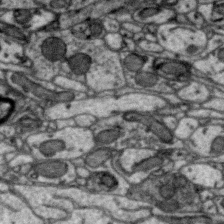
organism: Zebra finch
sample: Brain